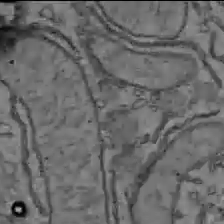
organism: C57BL Mouse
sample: Liver